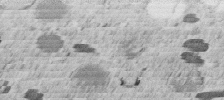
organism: C. elegans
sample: C. elegans embryo early stage